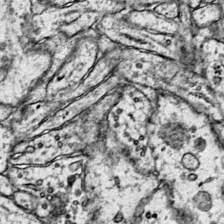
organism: Mouse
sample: Primary visual cortex